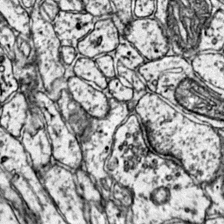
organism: Mouse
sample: Primary visual cortex